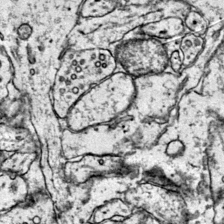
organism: Mouse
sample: Primary visual cortex